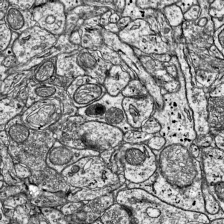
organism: Mouse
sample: Visual Cortex